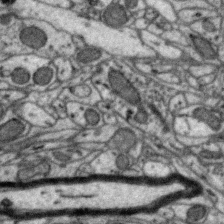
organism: Zebra finch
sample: Brain